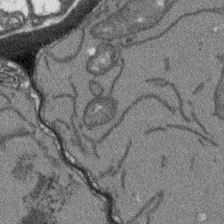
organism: Arabidopsis thaliana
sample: Root tip